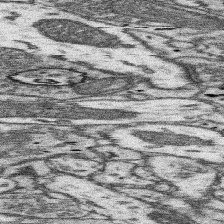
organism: Mouse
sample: Somatosensory cortex neuropil